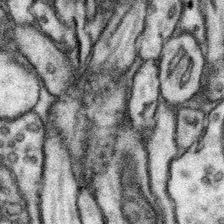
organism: Mouse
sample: Somatosensory cortex neuropil